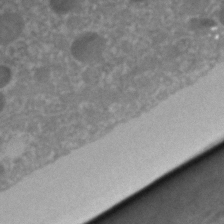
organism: C. elegans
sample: C. elegans embryo